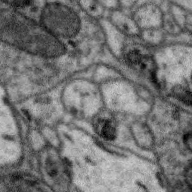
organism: Zebra finch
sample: Brain